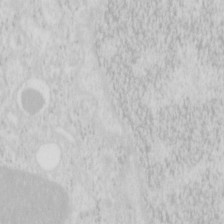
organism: Mouse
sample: Pancreas